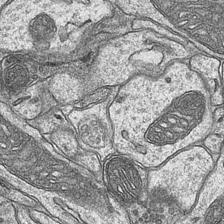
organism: Mouse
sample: CA1 Hippocampus